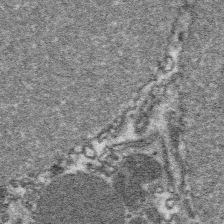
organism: Platynereis dumerilii